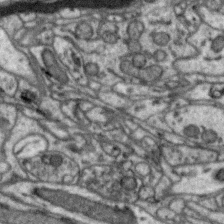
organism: Zebra finch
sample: Brain